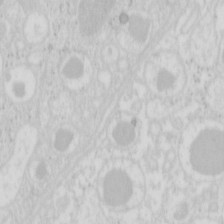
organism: Mouse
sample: Pancreas